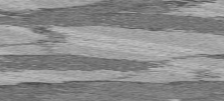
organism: C57BL Mouse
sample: Heart